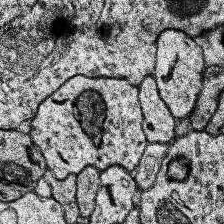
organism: Human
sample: Temporal Lobe